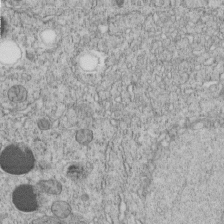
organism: C. elegans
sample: C. elegans embryo early stage